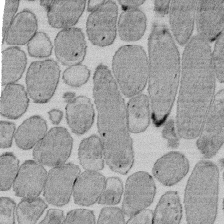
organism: E. coli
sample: Bacterial nucleoid